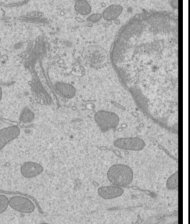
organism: Mouse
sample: Cilia; mouse epididymis